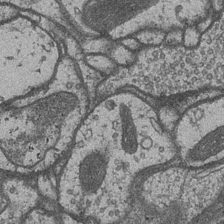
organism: Drosophila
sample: Optic medulla